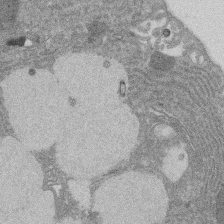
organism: Rat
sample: Salivary granule